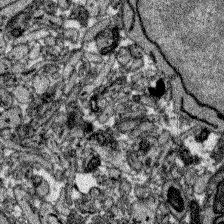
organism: Zebrafish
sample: Larval olfactory bulb